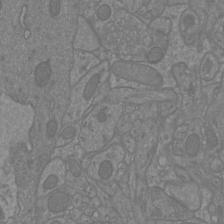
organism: Mouse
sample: Cortical neurons